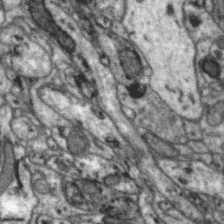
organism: Zebra finch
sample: Brain